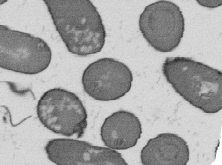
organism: B. subtilis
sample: Bacterial spore